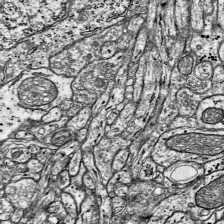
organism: Mouse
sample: Visual Cortex